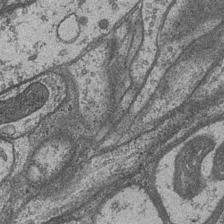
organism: Drosophila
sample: Optic medulla